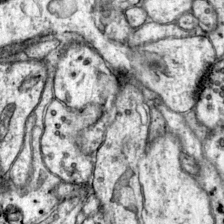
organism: Mouse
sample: Primary visual cortex